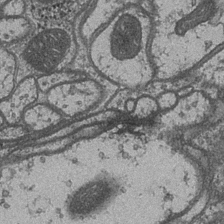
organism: Drosophila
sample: Optic medulla